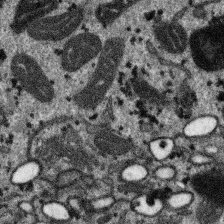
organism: Human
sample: Lung epithelial cells infected with SARS-CoV-2